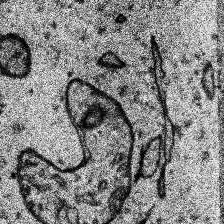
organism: Human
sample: Temporal Lobe